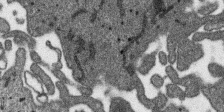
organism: Human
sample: Lung epithelial cells infected with SARS-CoV-2